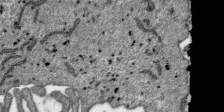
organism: Human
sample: Lung epithelial cells, uninfected (mock) control